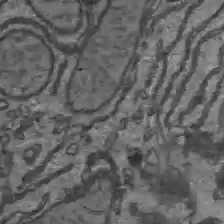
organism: C57BL Mouse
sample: Liver